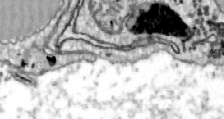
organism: Zebrafish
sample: Actinotrichia fibers